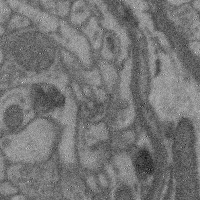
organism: Mouse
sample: Cerebral cortex